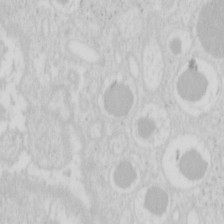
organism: Mouse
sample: Pancreas